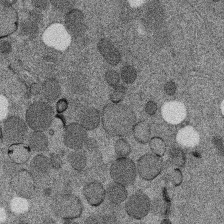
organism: C. elegans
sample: C. elegans embryo early stage